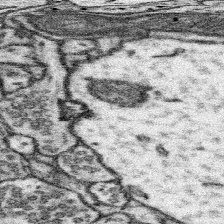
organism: Mouse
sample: Somatosensory cortex neuropil